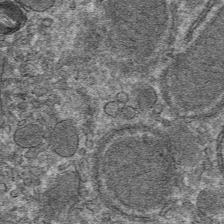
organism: Mouse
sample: Mouse hepatocytes